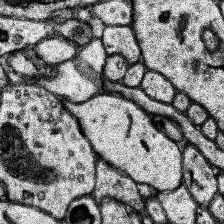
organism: Human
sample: Temporal Lobe